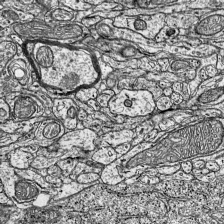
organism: Mouse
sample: Visual Cortex